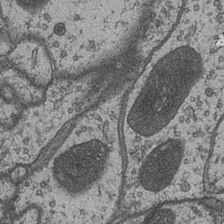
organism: Drosophila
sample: Optic medulla